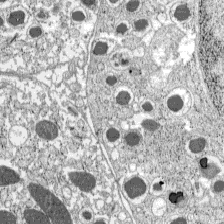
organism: C57BL Mouse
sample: Pancreatic islet